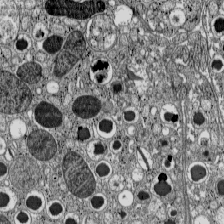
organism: C57BL Mouse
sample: Pancreatic islet